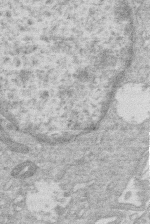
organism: Human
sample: Macrophage cells